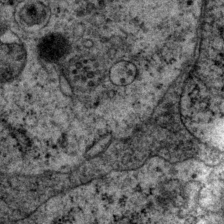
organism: P. pacificus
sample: Pharynx